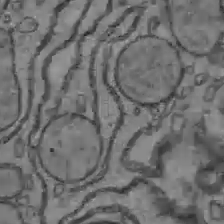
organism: C57BL Mouse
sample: Liver